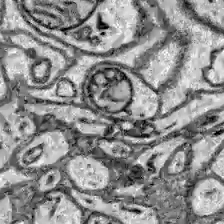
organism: Zebrafish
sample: Brain